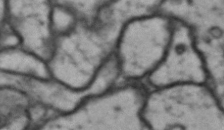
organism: Drosophila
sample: Brain